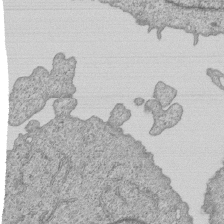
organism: Human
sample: MDA-MB-231 cells